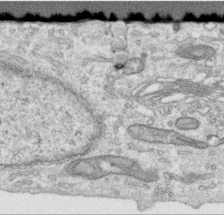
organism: Human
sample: Centriole in RPE cells